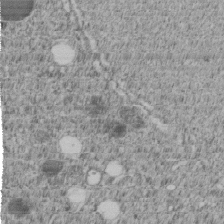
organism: C. elegans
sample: C. elegans embryo early stage